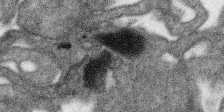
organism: Human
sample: Lung epithelial cells infected with SARS-CoV-2